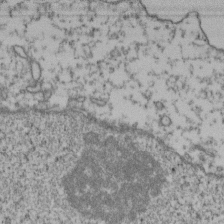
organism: Human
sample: Activated Jurkat CD4+ T cells